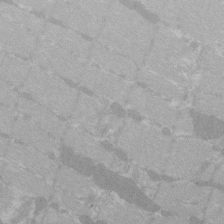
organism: C57BL Mouse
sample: Tibialis anterior muscle cell